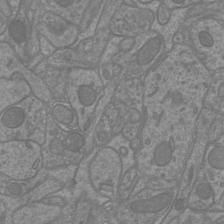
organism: Mouse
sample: Cortical neurons